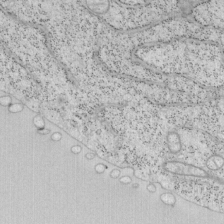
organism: Mouse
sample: OT-I killer T cells with ID8 ovarian cancer cells